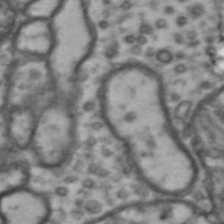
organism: Drosophila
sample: Brain